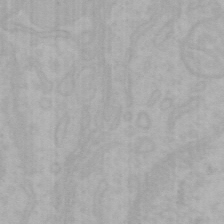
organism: Mouse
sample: Choroid plexus